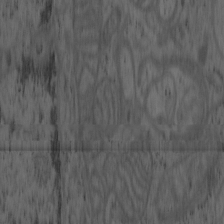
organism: Human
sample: HeLa cells